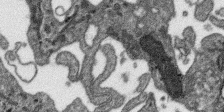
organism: Human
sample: Lung epithelial cells infected with SARS-CoV-2